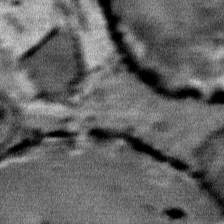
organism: Mouse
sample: Mouse Salivary gland